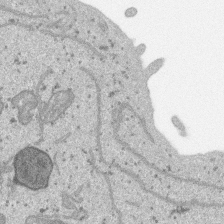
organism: Human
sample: Lung epithelial cells infected with SARS-CoV-2